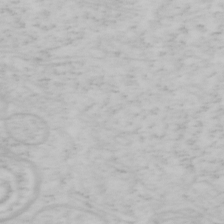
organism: Mouse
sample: OT-I killer T cells with ID8 ovarian cancer cells